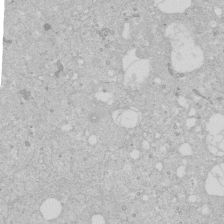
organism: Human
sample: Caco-2 cells